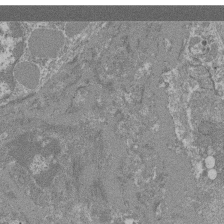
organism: Mouse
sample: Glomerulus